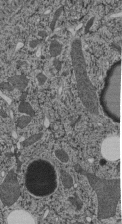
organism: C. elegans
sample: C. elegans pharynx